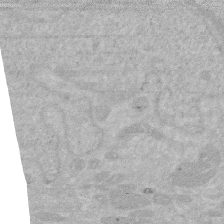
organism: Human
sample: HIV infected U937 cells